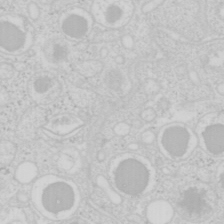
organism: Mouse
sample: Pancreas